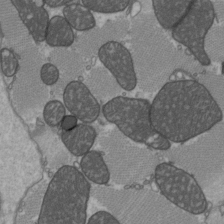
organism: C57BL Mouse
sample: Heart